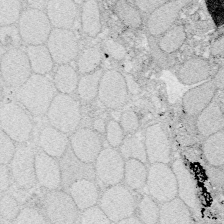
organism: Zebrafish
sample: Whole-Brain